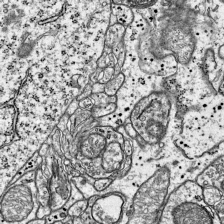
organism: Mouse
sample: Visual Cortex